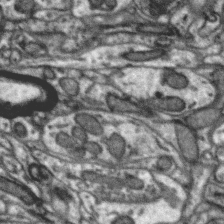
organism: Zebra finch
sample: Brain